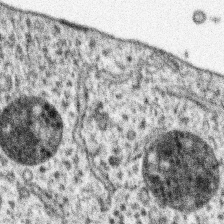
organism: Human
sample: HeLa cells